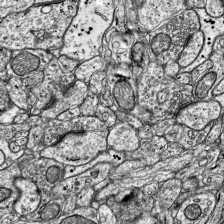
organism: Mouse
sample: Visual Cortex